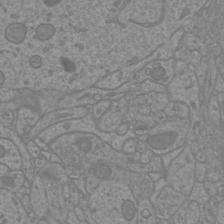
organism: Mouse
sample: Cortical neurons